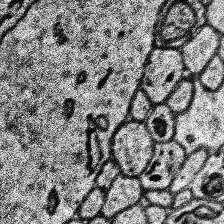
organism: Human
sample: Temporal Lobe